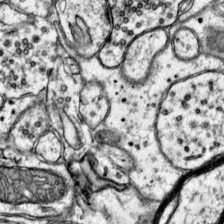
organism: Mouse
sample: Primary visual cortex